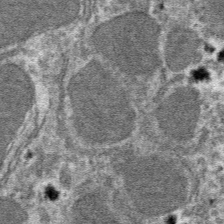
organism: Mouse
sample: Mouse hepatocytes